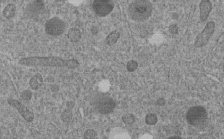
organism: C. elegans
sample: C. elegans embryo early stage